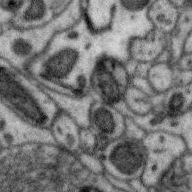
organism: Zebra finch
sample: Brain